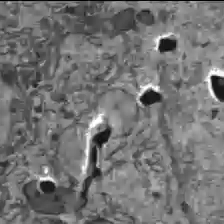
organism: C57BL Mouse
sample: Liver